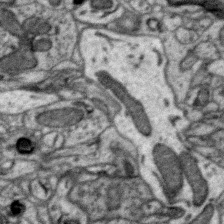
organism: Zebra finch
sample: Brain